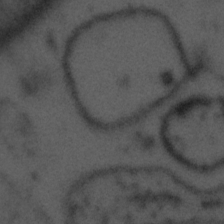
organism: Tuwongella immobilis